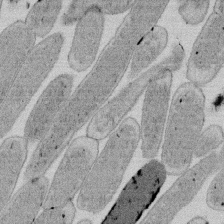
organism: E. coli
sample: Bacterial nucleoid